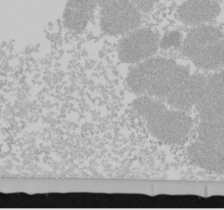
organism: Mouse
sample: Cancer cell death in ED-1 cells